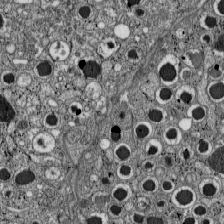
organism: C57BL Mouse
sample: Pancreatic islet